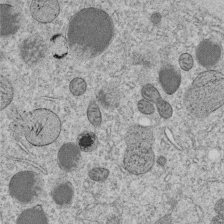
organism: C. elegans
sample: C. elegans embryo early stage